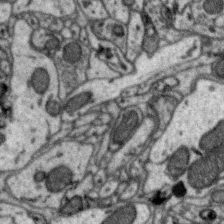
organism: Zebra finch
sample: Brain